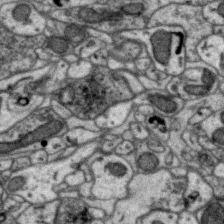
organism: Zebra finch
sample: Brain